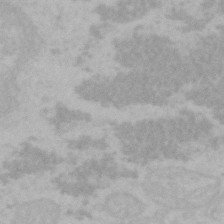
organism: Mouse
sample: Choroid plexus